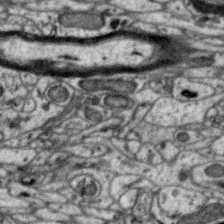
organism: Zebra finch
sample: Brain